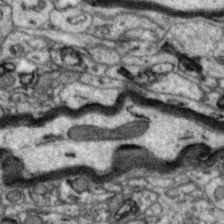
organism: Zebra finch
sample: Brain